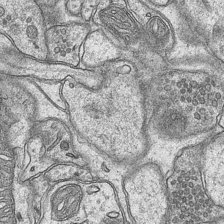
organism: Mouse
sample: CA1 Hippocampus